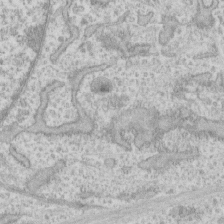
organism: Human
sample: CRL-1474